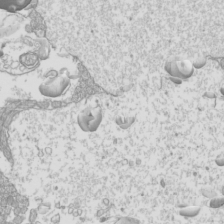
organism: Mouse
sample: Cilia; mouse epididymis